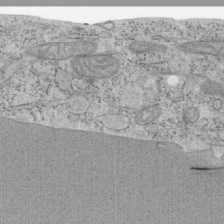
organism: Human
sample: HeLa cells